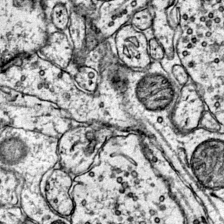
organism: Mouse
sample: Primary visual cortex